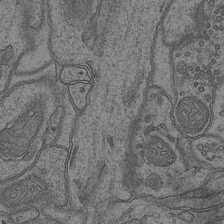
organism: Mouse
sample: CA1 Hippocampus